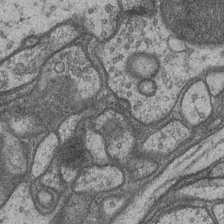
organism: Drosophila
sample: Optic medulla